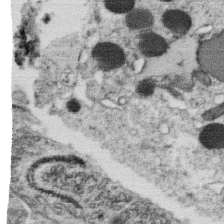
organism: C. elegans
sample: C. elegans oocyte; sperm cells